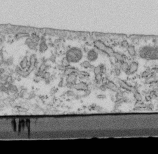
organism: Mouse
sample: Cilia; retinal pigment epithelium